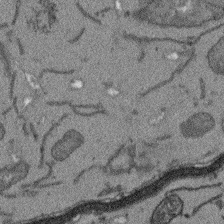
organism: Arabidopsis thaliana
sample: Root tip